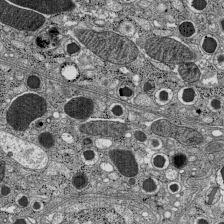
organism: C57BL Mouse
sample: Pancreatic islet